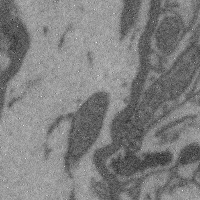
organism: Mouse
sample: Cerebral cortex